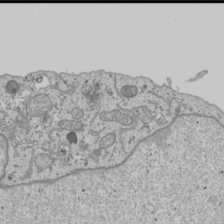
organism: Human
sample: Mitochondria in U2OS cells